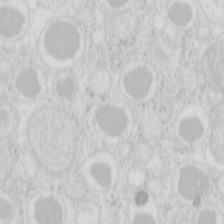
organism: Mouse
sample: Pancreas